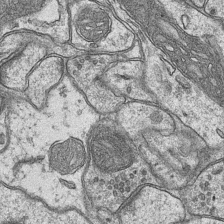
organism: Mouse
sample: CA1 Hippocampus